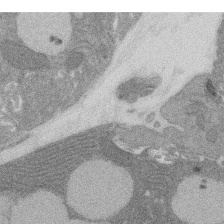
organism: Rat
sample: Salivary granule